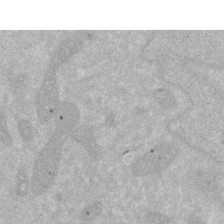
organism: Human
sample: HIV infected U937 cells